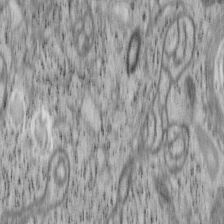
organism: Human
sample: HeLa cells